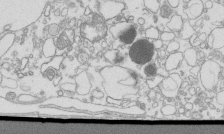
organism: Mouse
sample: Macrophages